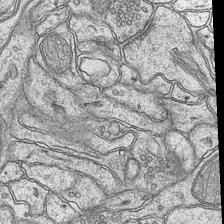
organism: Mouse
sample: CA1 Hippocampus